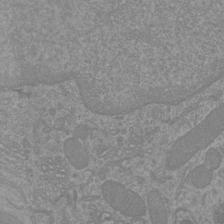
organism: Mouse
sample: Cortical neurons